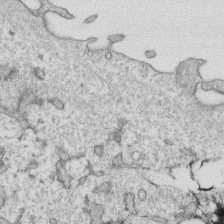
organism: Human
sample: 1205lu cells